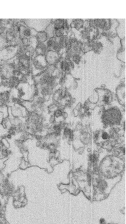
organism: Human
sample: HeLa cell HIV synapse